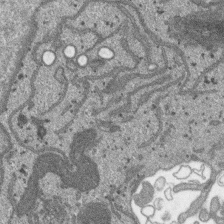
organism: Human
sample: Lung epithelial cells infected with SARS-CoV-2